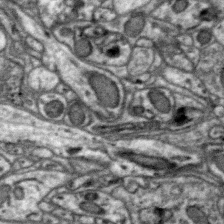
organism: Zebra finch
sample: Brain